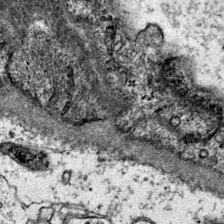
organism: Mouse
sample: Primary visual cortex